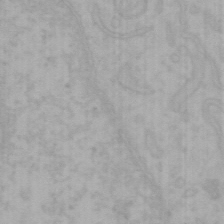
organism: Mouse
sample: Choroid plexus